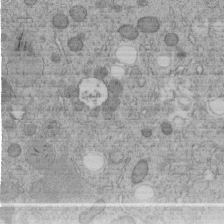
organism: C. elegans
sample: C. elegans embryo early stage